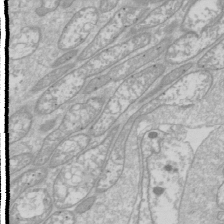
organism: Drosophila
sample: Cell division; meiosis; drosophila spermatocytes